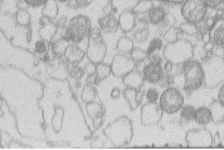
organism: Human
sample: Macrophage cells